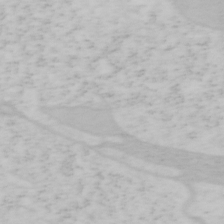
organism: Mouse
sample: OT-I killer T cells with ID8 ovarian cancer cells